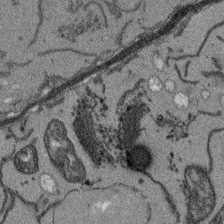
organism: Arabidopsis thaliana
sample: Root tip